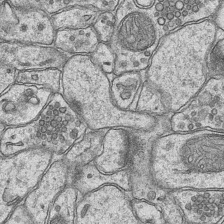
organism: Mouse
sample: CA1 Hippocampus